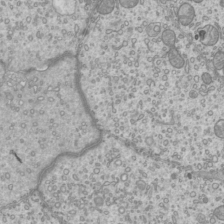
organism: Mouse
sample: Cilia; mouse epididymis